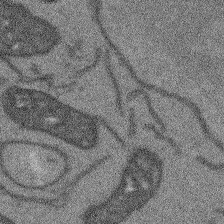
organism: Arabidopsis thaliana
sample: Root tip